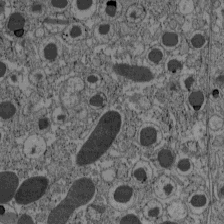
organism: C57BL Mouse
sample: Pancreatic islet